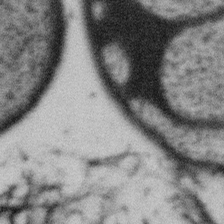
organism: Gemmata obscuriglobus